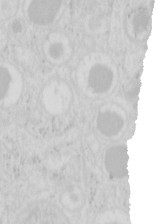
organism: Mouse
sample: Pancreas